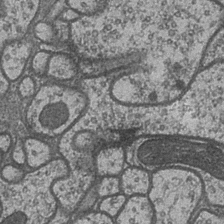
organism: Drosophila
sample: Optic medulla